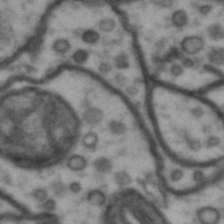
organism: Drosophila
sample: Brain